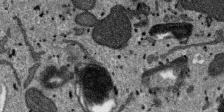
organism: Human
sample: Lung epithelial cells, uninfected (mock) control